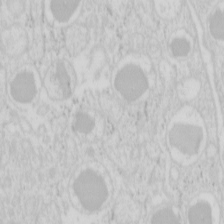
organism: Mouse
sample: Pancreas